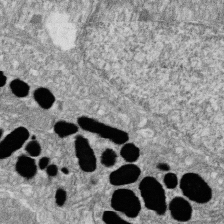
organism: Zebrafish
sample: Cilia; retinal pigment epithelium